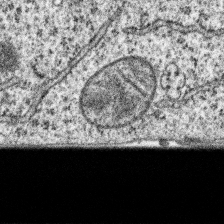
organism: Human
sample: HeLa cells